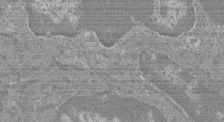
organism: Mouse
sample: Glomerulus